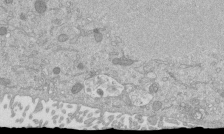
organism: Mouse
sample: ED-1 cell nuclei; centrioles